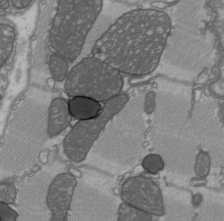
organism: C57BL Mouse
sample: Heart